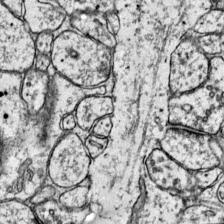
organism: Mouse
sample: Primary visual cortex